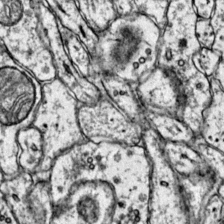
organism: Mouse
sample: Primary visual cortex